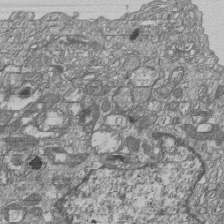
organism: Human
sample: MDA-MB-231 cells